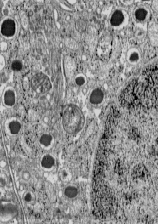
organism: C57BL Mouse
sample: Pancreatic islet